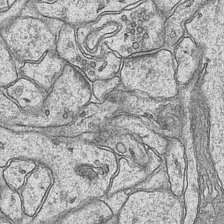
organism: Mouse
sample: CA1 Hippocampus